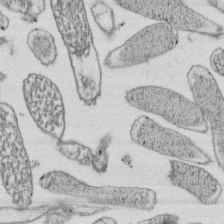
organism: E. coli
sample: Bacterial nucleoid